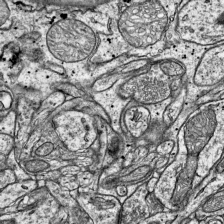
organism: Mouse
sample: Visual Cortex